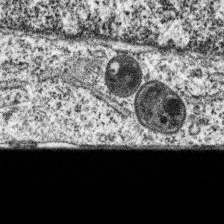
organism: Human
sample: HeLa cells